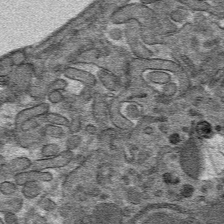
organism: Mouse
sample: Mouse hepatocytes